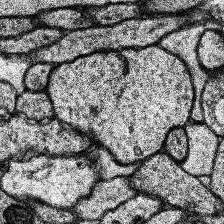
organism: Human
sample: Temporal Lobe